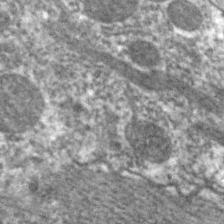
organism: C. elegans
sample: Pharynx